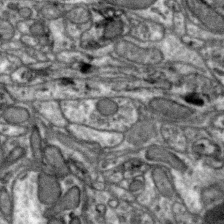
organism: Zebra finch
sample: Brain